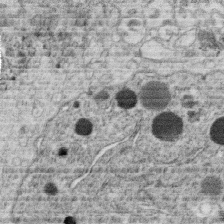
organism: C. elegans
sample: C. elegans oocyte; sperm cells